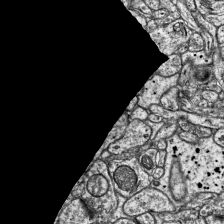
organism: Mouse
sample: Visual Cortex